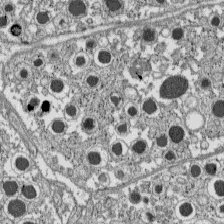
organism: C57BL Mouse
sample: Pancreatic islet